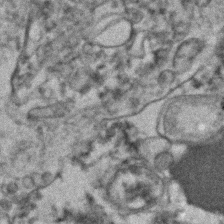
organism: Human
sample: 1205lu cells